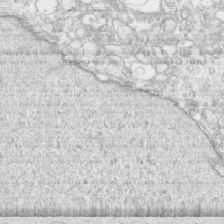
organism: Human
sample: CRL-1474